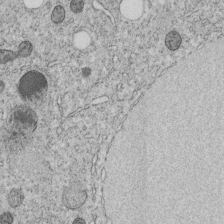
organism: C. elegans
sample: C. elegans embryo early stage